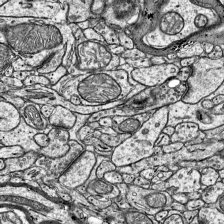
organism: Mouse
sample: Visual Cortex